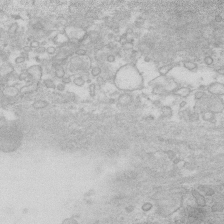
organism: Human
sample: Fibroblast cells